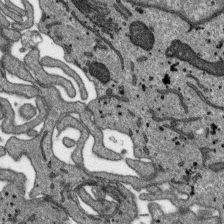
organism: Human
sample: Lung epithelial cells, uninfected (mock) control